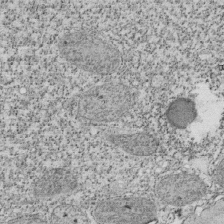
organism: Tetrahymena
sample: Cilia in tetrahymena